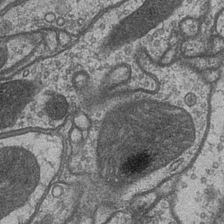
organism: Drosophila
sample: Optic medulla